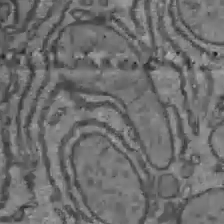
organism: C57BL Mouse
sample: Liver